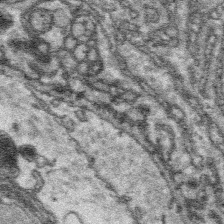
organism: Platynereis dumerilii